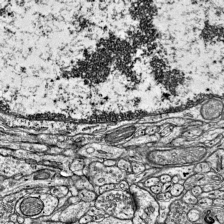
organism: Mouse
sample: Visual Cortex